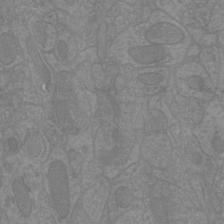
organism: Mouse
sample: Cortical neurons